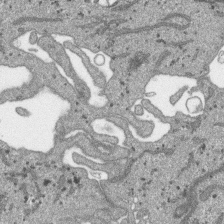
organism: Human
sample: Lung epithelial cells infected with SARS-CoV-2